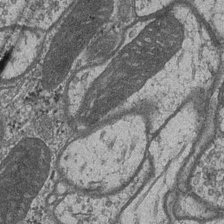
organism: Drosophila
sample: Optic medulla